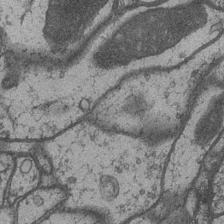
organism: Drosophila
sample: Optic medulla